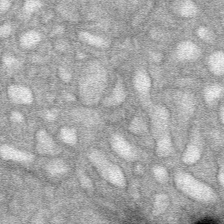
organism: Mouse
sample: Mouse Salivary gland